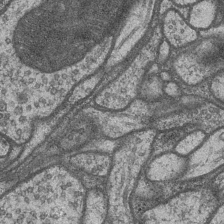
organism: Drosophila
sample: Optic medulla